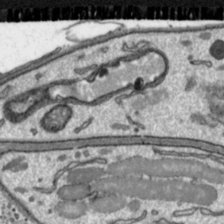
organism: Toxoplasma gondii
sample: Parasites in a vacuole inside a host cell